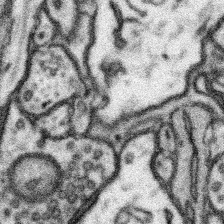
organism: Mouse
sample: Somatosensory cortex neuropil